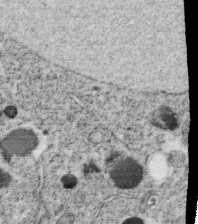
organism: C. elegans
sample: C. elegans oocyte; sperm cells